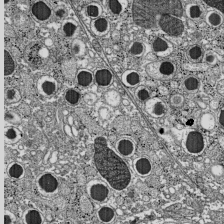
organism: C57BL Mouse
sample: Pancreatic islet